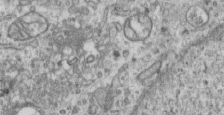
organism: Human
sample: Centriole in RPE cells